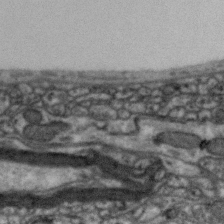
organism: Zebra finch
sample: Brain